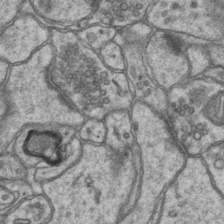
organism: Mouse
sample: CA1 Hippocampus